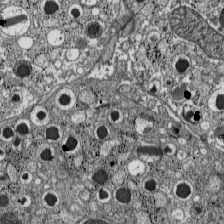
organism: C57BL Mouse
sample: Pancreatic islet